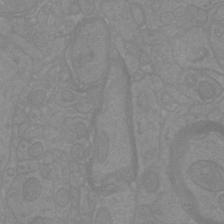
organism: Mouse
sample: Cortical neurons